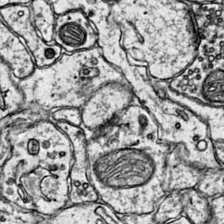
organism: Mouse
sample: Primary visual cortex